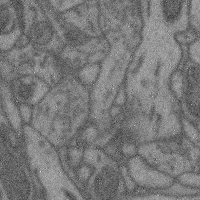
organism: Mouse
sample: Cerebral cortex